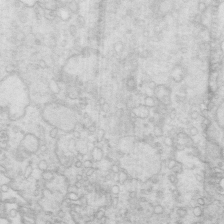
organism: Mouse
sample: Multiciliated cells